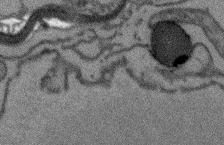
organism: Arabidopsis thaliana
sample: Root tip